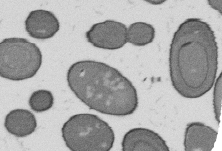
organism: B. subtilis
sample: Bacterial spore